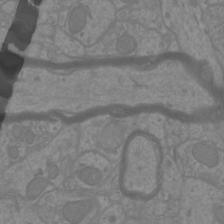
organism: Mouse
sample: Cortical neurons